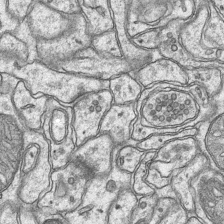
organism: Mouse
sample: CA1 Hippocampus